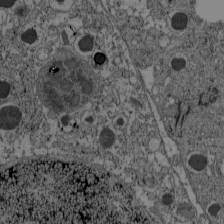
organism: C57BL Mouse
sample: Pancreatic islet